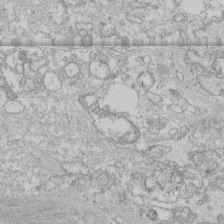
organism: Human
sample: CRL-1474